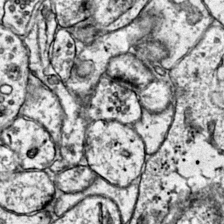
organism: Mouse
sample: Primary visual cortex